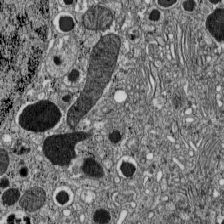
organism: C57BL Mouse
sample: Pancreatic islet